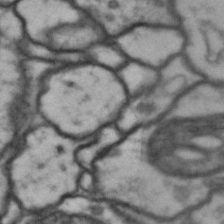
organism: Drosophila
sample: Brain